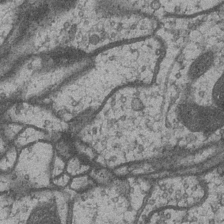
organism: Drosophila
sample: Optic medulla